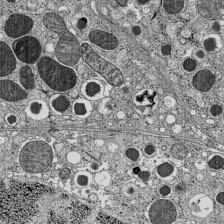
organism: C57BL Mouse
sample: Pancreatic islet